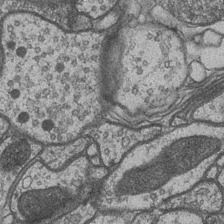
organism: Drosophila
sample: Optic medulla